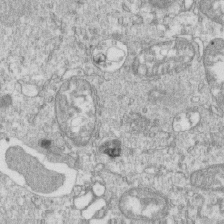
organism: Mouse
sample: Activated OT-1 CD8+ T cells